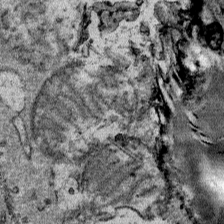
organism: Mouse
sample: Mouse Salivary gland